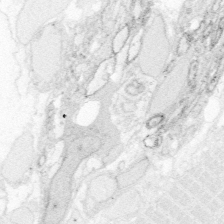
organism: Zebrafish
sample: Whole-Brain